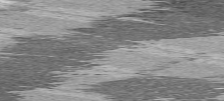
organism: C57BL Mouse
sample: Heart